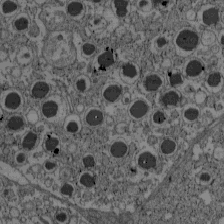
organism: C57BL Mouse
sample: Pancreatic islet